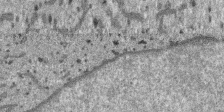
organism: Human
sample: Lung epithelial cells infected with SARS-CoV-2